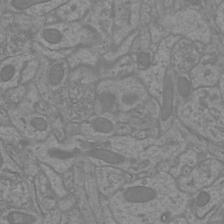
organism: Mouse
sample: Cortical neurons